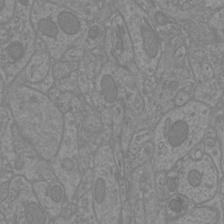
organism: Mouse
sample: Cortical neurons